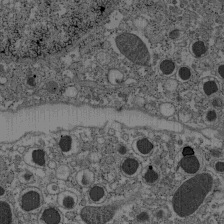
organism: C57BL Mouse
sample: Pancreatic islet